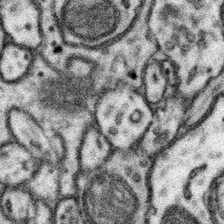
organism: Mouse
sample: Somatosensory cortex neuropil